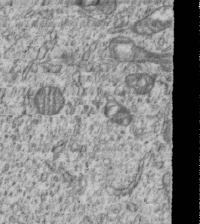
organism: Human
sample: MDA-MB-231 cells